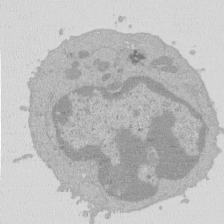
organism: Mouse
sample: Activated Pmel transgenic CD8+ T Cells